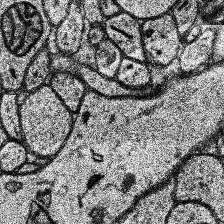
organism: Human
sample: Temporal Lobe